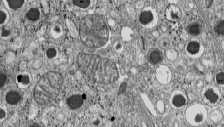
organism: C57BL Mouse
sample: Pancreatic islet